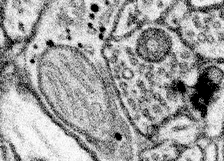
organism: Mouse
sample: Somatosensory cortex neuropil